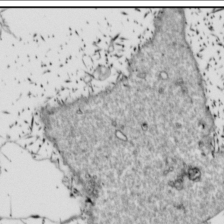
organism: Drosophila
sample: Cell division; meiosis; drosophila spermatocytes